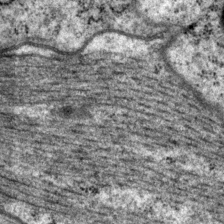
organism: P. pacificus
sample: Pharynx